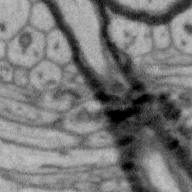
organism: Zebra finch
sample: Brain